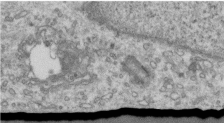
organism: Human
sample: Centriole in RPE cells